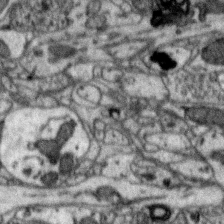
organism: Zebra finch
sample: Brain